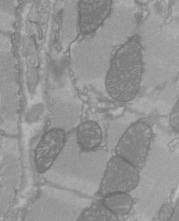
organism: C57BL Mouse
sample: Heart